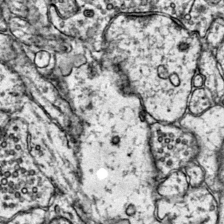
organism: Mouse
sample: Primary visual cortex